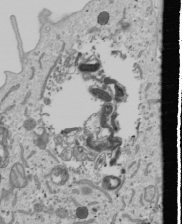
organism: Human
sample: Mitochondria in U2OS cells